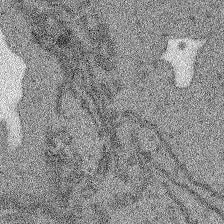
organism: Human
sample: HeLa cells